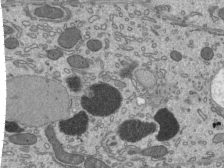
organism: Mouse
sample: Mouse epididymis efferent ductule cilia